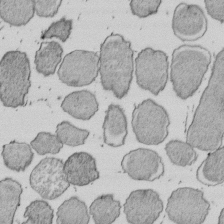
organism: E. coli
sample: Bacterial nucleoid